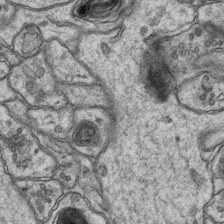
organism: Mouse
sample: CA1 Hippocampus